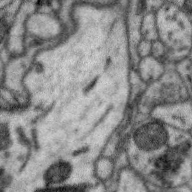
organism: Zebra finch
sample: Brain